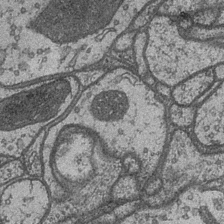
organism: Drosophila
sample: Optic medulla